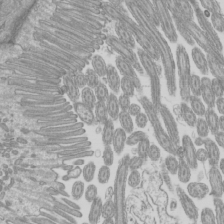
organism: Mouse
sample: Cilia; mouse epididymis